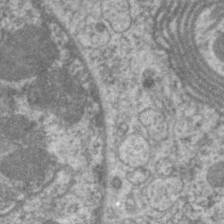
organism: C. elegans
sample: Pharynx